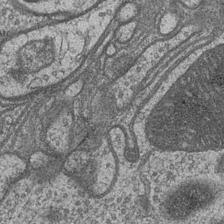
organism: Drosophila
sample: Optic medulla